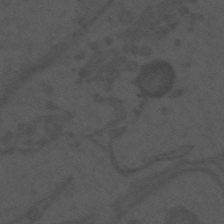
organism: Mouse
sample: Suprachiasmatic nucleus